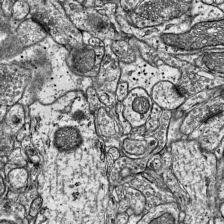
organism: Mouse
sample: Visual Cortex